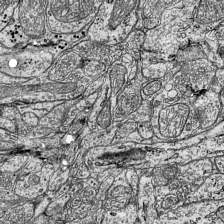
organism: Mouse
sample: Visual Cortex